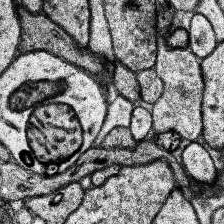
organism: Human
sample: Temporal Lobe